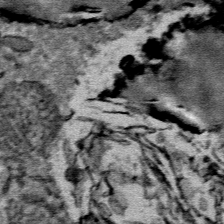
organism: Mouse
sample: Mouse Salivary gland